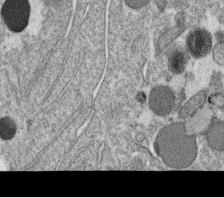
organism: C. elegans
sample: C. elegans oocyte; sperm cells